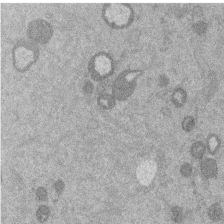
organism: Mouse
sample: Dividing mouse embryo 1 cell stage